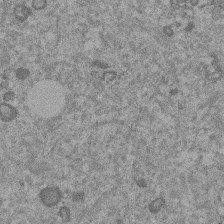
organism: Mouse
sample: Dividing mouse embryo 1 cell stage